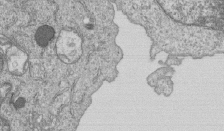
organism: Human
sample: MDA-MB-231 cells